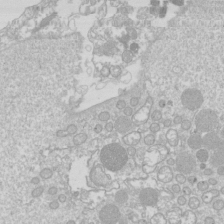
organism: Drosophila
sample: Cell division; meiosis; drosophila spermatocytes